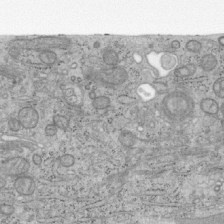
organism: Human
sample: HeLa cells